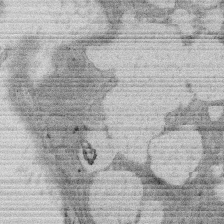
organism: Rat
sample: Salivary granule